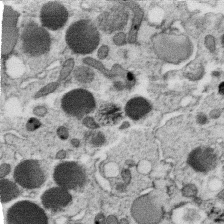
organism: C. elegans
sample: C. elegans oocyte; sperm cells